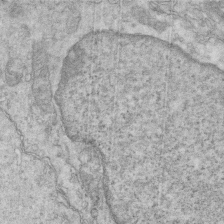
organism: Mouse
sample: Multiciliated cells